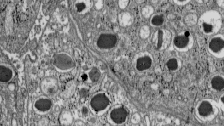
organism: C57BL Mouse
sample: Pancreatic islet